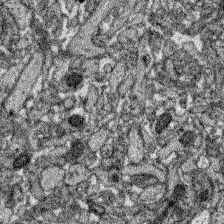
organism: Zebrafish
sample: Larval olfactory bulb